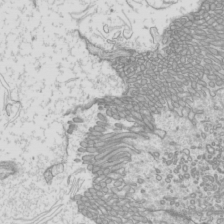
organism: Mouse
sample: Cilia; mouse epididymis